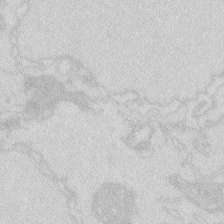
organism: Zebrafish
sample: Macrophage